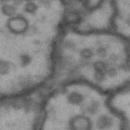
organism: Drosophila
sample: Brain